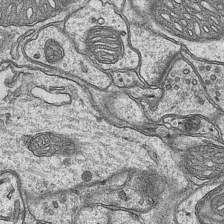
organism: Mouse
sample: CA1 Hippocampus